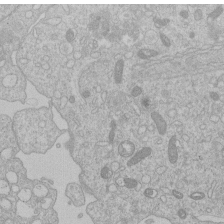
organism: Human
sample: Macrophage cells